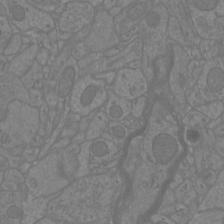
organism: Mouse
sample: Cortical neurons